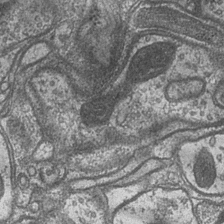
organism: Drosophila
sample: Optic medulla